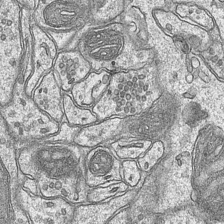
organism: Mouse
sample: CA1 Hippocampus